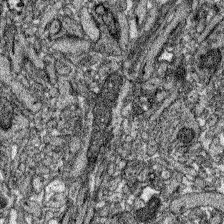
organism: Zebrafish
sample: Larval olfactory bulb